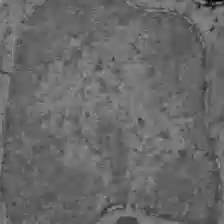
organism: C57BL Mouse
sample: Liver